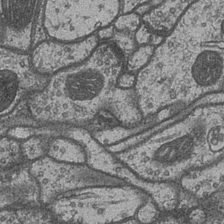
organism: Drosophila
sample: Optic medulla